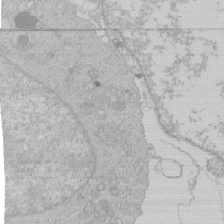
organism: Human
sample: Macrophage cells